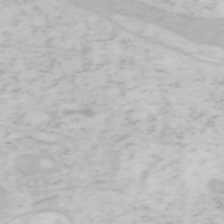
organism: Mouse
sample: OT-I killer T cells with ID8 ovarian cancer cells